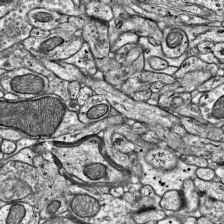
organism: Mouse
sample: Visual Cortex